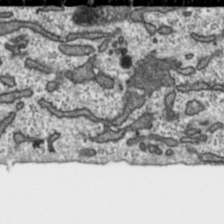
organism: Toxoplasma gondii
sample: Parasites in a vacuole inside a host cell